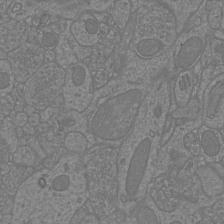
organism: Mouse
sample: Cortical neurons